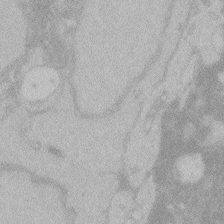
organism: Zebrafish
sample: Macrophage infected with Toxoplasma gondii